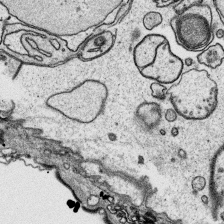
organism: Platynereis dumerilii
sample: Parapodia